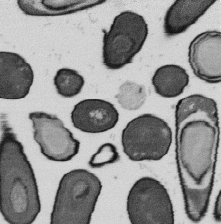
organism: B. subtilis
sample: Bacterial spore